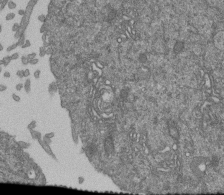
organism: Human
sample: Retinal organoid Rod and Cone cells